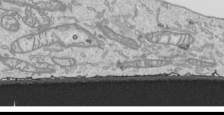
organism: Human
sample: Mitochondria in HCT116 cells